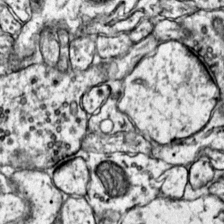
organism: Mouse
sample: Primary visual cortex